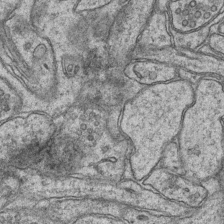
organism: Mouse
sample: CA1 Hippocampus